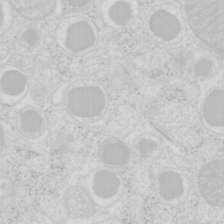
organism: Mouse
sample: Pancreas